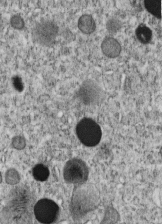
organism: C. elegans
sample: C. elegans embryo early stage